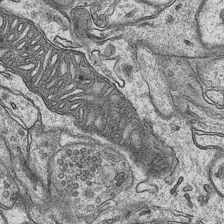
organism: Mouse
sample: CA1 Hippocampus